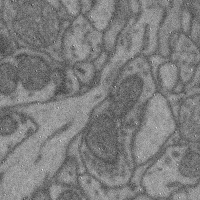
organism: Mouse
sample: Cerebral cortex